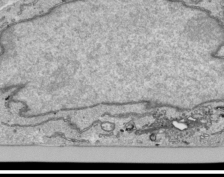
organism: Human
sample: Mitochondria in HCT116 cells